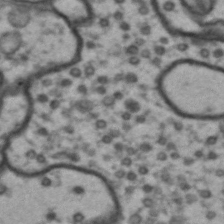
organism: Drosophila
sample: Brain